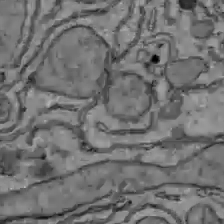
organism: C57BL Mouse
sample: Liver